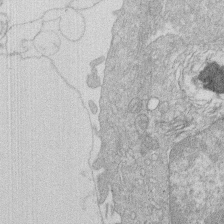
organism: Human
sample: Macrophage cells